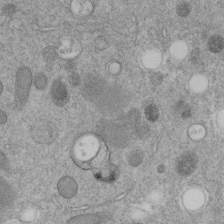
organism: C. elegans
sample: C. elegans embryo early stage